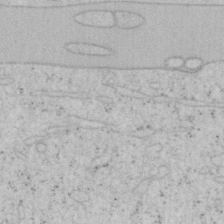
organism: Human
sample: HeLa cells